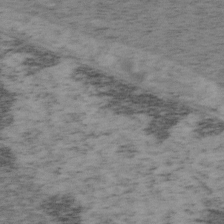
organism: Mouse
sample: OT-I killer T cells with ID8 ovarian cancer cells